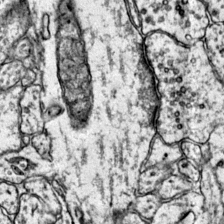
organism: Mouse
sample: Primary visual cortex